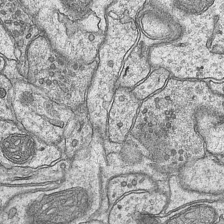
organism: Mouse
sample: CA1 Hippocampus